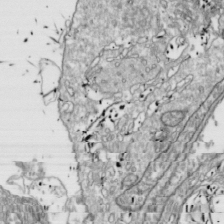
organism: Drosophila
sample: Cell division; meiosis; drosophila spermatocytes